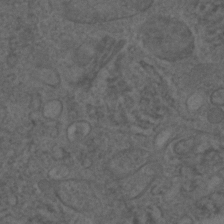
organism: C. elegans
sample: C. elegans embryo